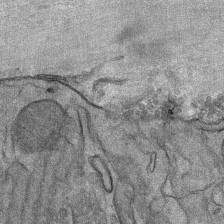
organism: Mouse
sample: Mouse Salivary gland